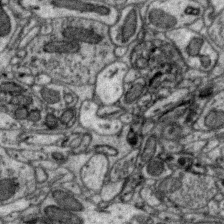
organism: Zebra finch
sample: Brain